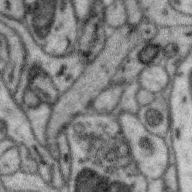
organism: Zebra finch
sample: Brain